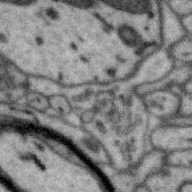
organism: Zebra finch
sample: Brain